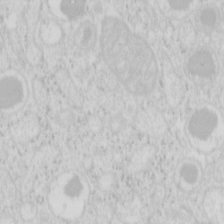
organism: Mouse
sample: Pancreas